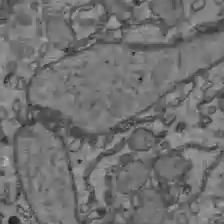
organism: C57BL Mouse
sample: Liver